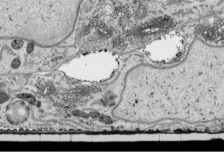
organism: Human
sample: Mitochondria in HCT116 cells